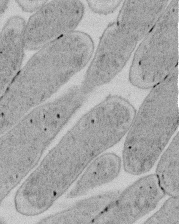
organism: E. coli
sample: Bacterial nucleoid